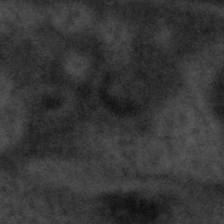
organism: Tuwongella immobilis